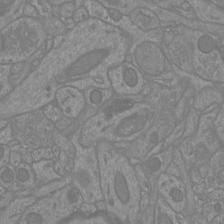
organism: Mouse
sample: Cortical neurons